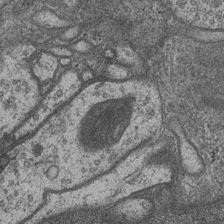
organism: Drosophila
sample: Optic medulla